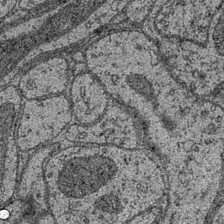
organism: Drosophila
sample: Optic medulla